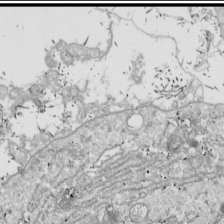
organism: Drosophila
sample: Cell division; meiosis; drosophila spermatocytes